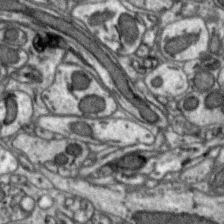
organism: Zebra finch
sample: Brain